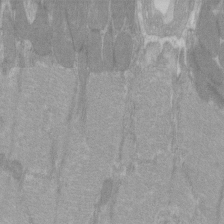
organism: C57BL Mouse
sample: Tibialis anterior muscle cell